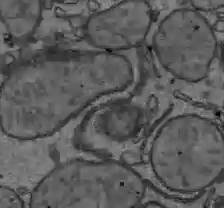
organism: C57BL Mouse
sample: Liver